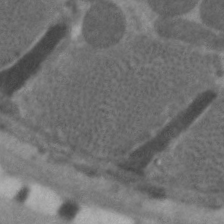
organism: C. elegans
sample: Pharynx